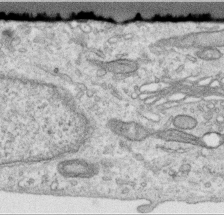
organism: Human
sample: Centriole in RPE cells